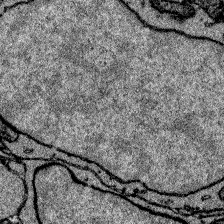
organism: Zebrafish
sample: Larval olfactory bulb